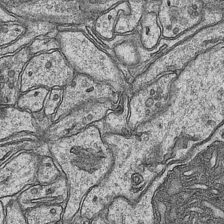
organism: Mouse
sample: CA1 Hippocampus